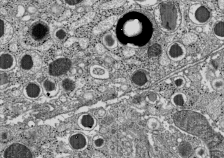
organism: C57BL Mouse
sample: Pancreatic islet